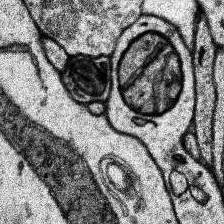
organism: Human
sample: Temporal Lobe